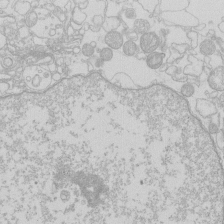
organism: Human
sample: Macrophage cells